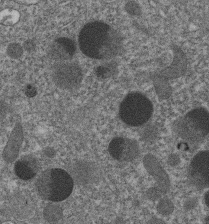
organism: C. elegans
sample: C. elegans embryo early stage